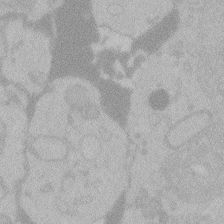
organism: Zebrafish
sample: Macrophage infected with Toxoplasma gondii